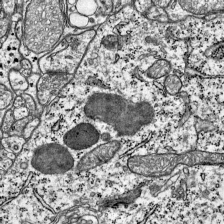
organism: Mouse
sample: Visual Cortex